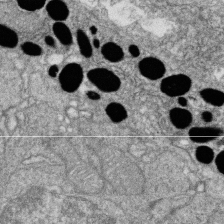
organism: Zebrafish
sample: Cilia; retinal pigment epithelium